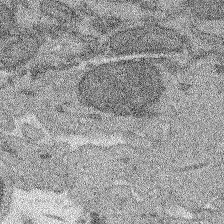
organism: Human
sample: HeLa cells